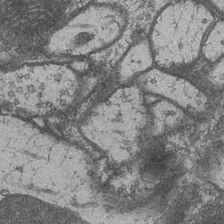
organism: Drosophila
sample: Optic medulla